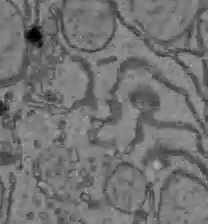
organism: C57BL Mouse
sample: Liver